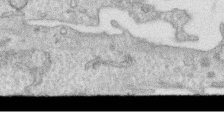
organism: Human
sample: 1205lu cells